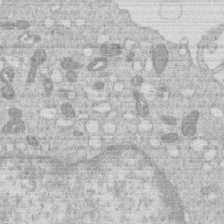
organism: Human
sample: Macrophage cells